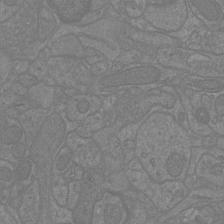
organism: Mouse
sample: Cortical neurons